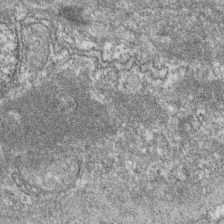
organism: Zebrafish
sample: Cilia; retinal pigment epithelium